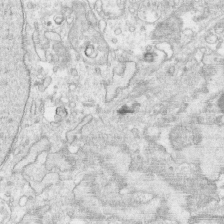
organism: Human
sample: CRL-1474